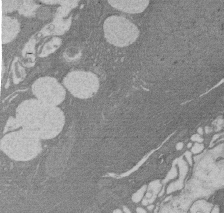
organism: Rat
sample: Salivary granule